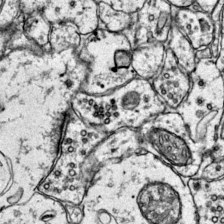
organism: Mouse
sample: Primary visual cortex